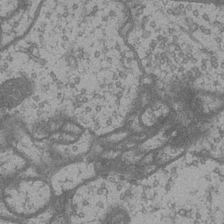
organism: Drosophila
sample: Optic medulla